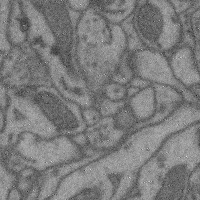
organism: Mouse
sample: Cerebral cortex